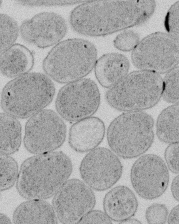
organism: E. coli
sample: Bacterial nucleoid